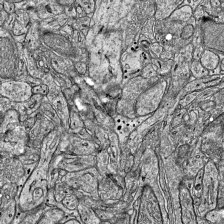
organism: Mouse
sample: Visual Cortex